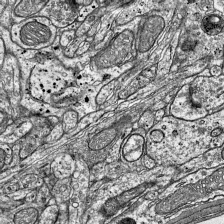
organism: Mouse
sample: Visual Cortex